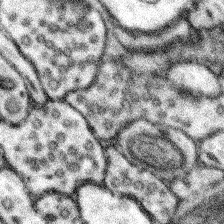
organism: Mouse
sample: Somatosensory cortex neuropil